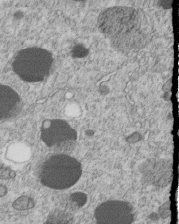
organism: C. elegans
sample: C. elegans embryo early stage